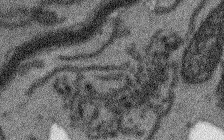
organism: Arabidopsis thaliana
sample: Root tip